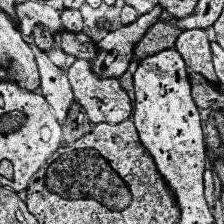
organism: Human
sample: Temporal Lobe